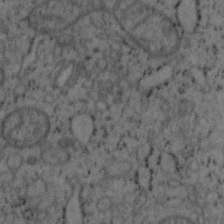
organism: Human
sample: HeLa cells